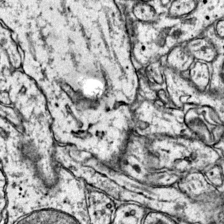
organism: Mouse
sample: Primary visual cortex